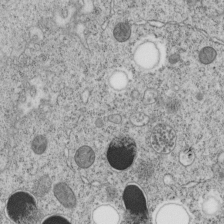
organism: C. elegans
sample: C. elegans embryo early stage